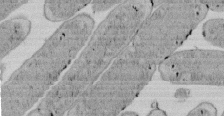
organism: E. coli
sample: Bacterial nucleoid